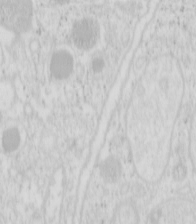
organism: Mouse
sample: Pancreas